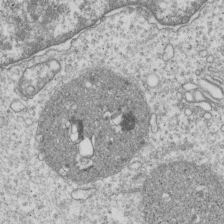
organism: Human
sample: MDA-MB-231 cells